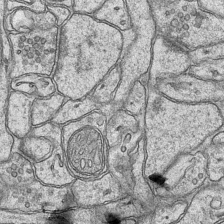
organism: Mouse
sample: CA1 Hippocampus